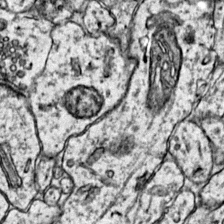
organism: Mouse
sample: Primary visual cortex